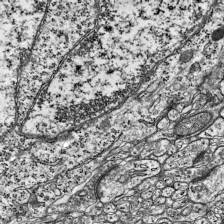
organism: Mouse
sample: Visual Cortex